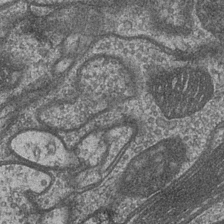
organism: Drosophila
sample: Optic medulla